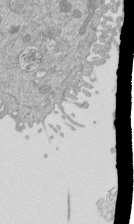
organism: Mouse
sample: ED-1 cell nuclei; centrioles